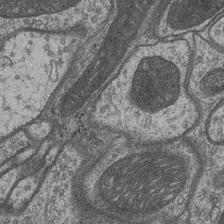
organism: Drosophila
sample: Optic medulla